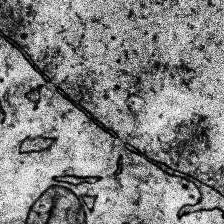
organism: Human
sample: Temporal Lobe